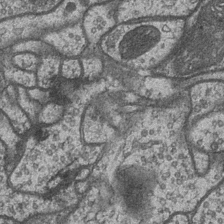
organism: Drosophila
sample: Optic medulla